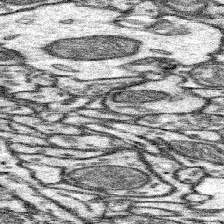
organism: Mouse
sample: Somatosensory cortex neuropil